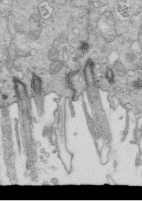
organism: Mouse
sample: Multiciliated cells